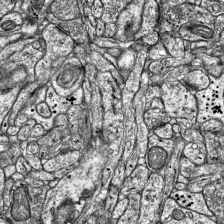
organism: Mouse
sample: Visual Cortex